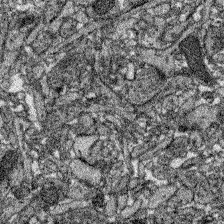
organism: Zebrafish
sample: Larval olfactory bulb